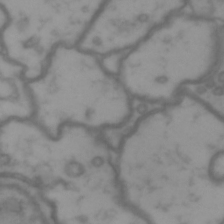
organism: Drosophila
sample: Brain